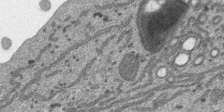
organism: Human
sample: Lung epithelial cells infected with SARS-CoV-2